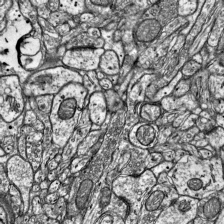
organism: Mouse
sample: Visual Cortex